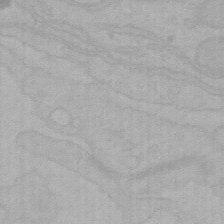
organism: Mouse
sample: Choroid plexus